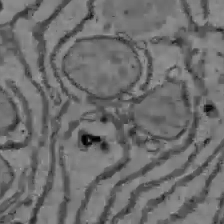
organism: C57BL Mouse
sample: Liver